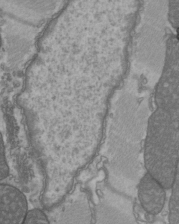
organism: C57BL Mouse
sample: Heart